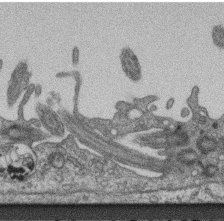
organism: Mouse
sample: Centriole in ependymal cells